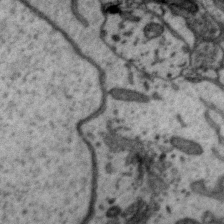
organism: Zebra finch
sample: Brain